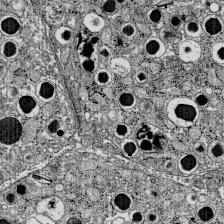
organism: C57BL Mouse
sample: Pancreatic islet